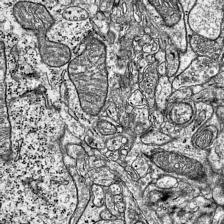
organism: Mouse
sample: Visual Cortex